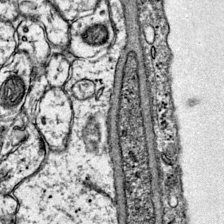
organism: Mouse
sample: Primary visual cortex